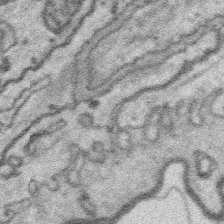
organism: Platynereis dumerilii